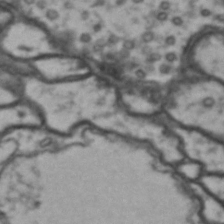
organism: Drosophila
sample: Brain